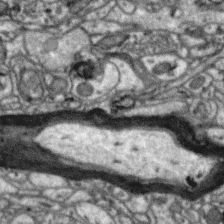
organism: Zebra finch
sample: Brain